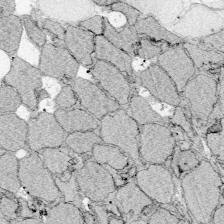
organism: Zebrafish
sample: Whole-Brain